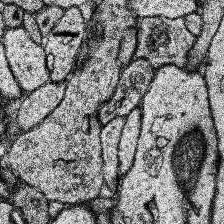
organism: Human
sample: Temporal Lobe